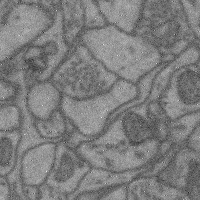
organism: Mouse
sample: Cerebral cortex